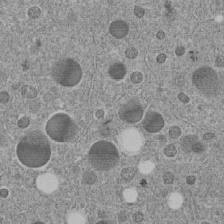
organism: C. elegans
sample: C. elegans embryo early stage